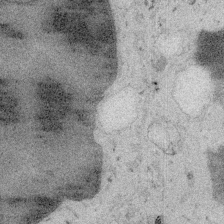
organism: Embia sp.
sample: Silk gland